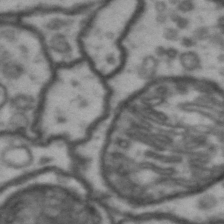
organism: Drosophila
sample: Brain